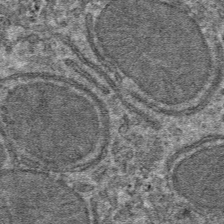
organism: Mouse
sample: Mouse hepatocytes